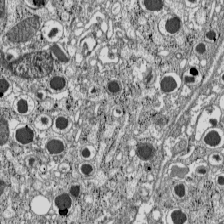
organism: C57BL Mouse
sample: Pancreatic islet